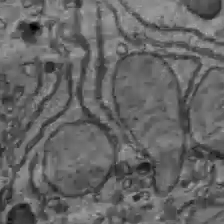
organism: C57BL Mouse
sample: Liver